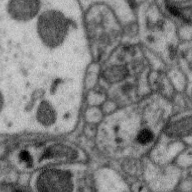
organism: Zebra finch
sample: Brain